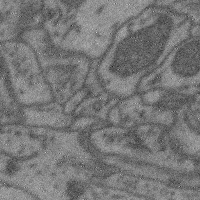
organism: Mouse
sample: Cerebral cortex